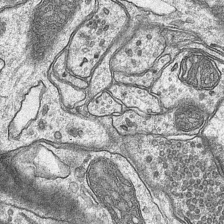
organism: Mouse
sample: CA1 Hippocampus